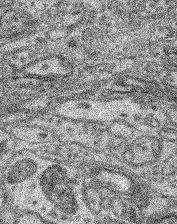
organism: Mouse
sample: Retina